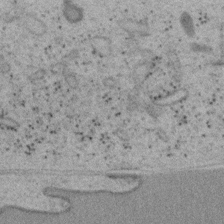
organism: Human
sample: HeLa cells